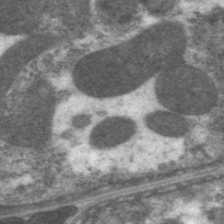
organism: C. elegans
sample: Pharynx